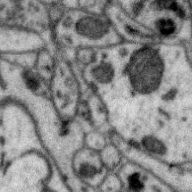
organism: Zebra finch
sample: Brain